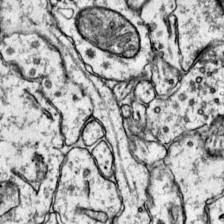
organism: Mouse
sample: Primary visual cortex